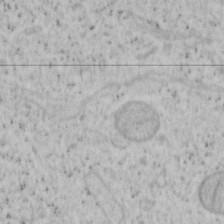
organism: Human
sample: HeLa cells